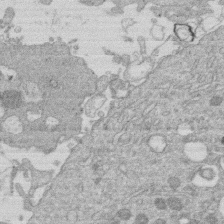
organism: Human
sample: Macrophage cells